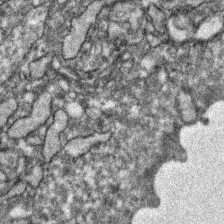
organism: Zebrafish